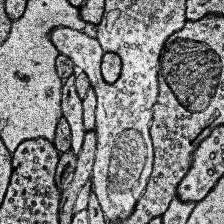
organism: Human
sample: Temporal Lobe